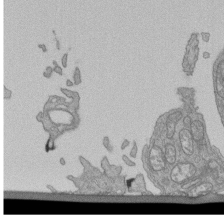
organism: Human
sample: Retinal organoid Rod and Cone cells